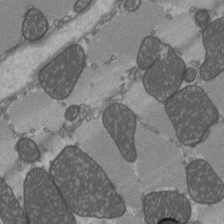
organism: C57BL Mouse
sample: Heart